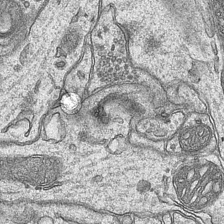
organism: Mouse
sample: CA1 Hippocampus